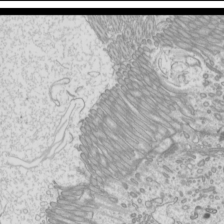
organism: Mouse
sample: Cilia; mouse epididymis